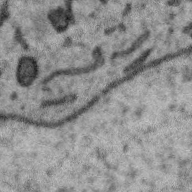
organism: Zebra finch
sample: Brain